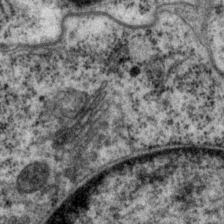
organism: P. pacificus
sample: Pharynx